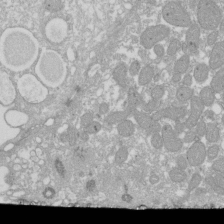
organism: Xenopus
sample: Cilia; centrioles in frog embryo cells